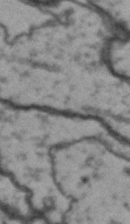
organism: Drosophila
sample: Brain